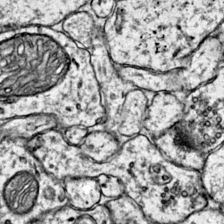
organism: Mouse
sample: Primary visual cortex